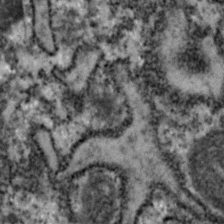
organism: Zebrafish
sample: Zebrafish embryo